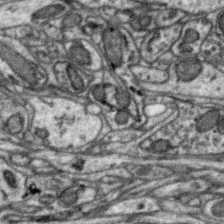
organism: Zebra finch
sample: Brain